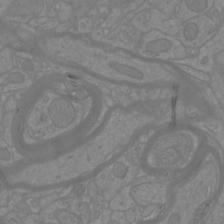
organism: Mouse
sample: Cortical neurons